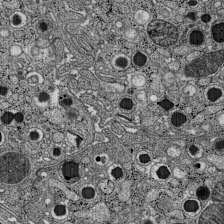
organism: C57BL Mouse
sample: Pancreatic islet